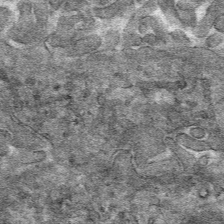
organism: Mouse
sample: Mouse hepatocytes